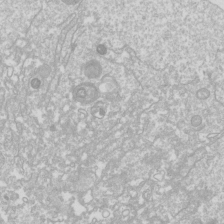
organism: Drosophila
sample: Cell division; meiosis; drosophila spermatocytes